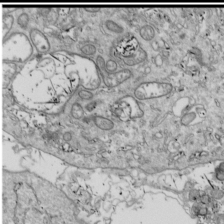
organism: Drosophila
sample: Cell division; meiosis; drosophila spermatocytes